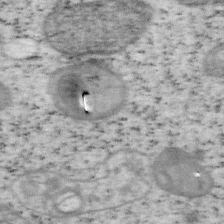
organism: Mouse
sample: OT-I killer T cells with ID8 ovarian cancer cells